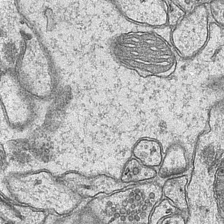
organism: Mouse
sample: CA1 Hippocampus